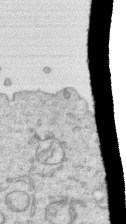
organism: Human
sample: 1205lu cells